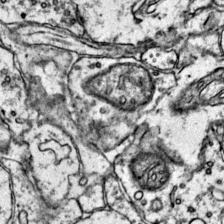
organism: Mouse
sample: Primary visual cortex